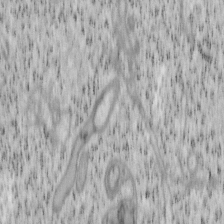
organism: Human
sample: HeLa cells